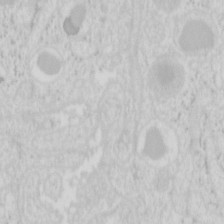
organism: Mouse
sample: Pancreas